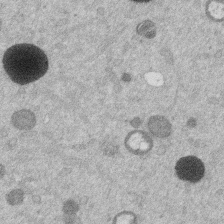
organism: Mouse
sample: Dividing mouse embryo 1 cell stage